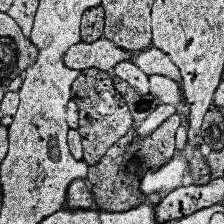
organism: Human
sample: Temporal Lobe